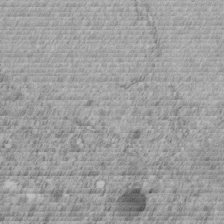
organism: C. elegans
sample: C. elegans embryo early stage